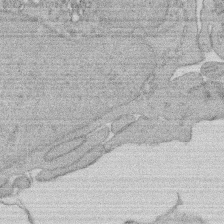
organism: Rat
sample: Salivary granule